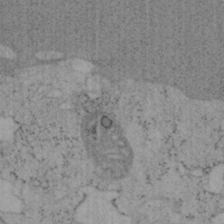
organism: Mouse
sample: OT-I killer T cells with ID8 ovarian cancer cells